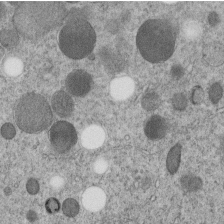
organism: C. elegans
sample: C. elegans embryo early stage